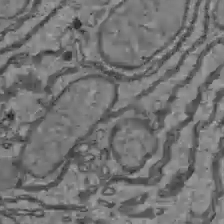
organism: C57BL Mouse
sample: Liver